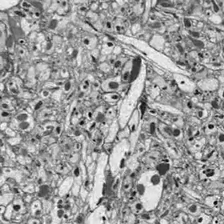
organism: Drosophila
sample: Optic lobe